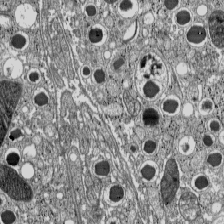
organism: C57BL Mouse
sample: Pancreatic islet